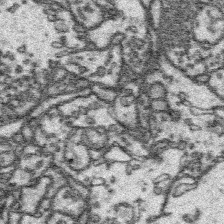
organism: Platynereis dumerilii